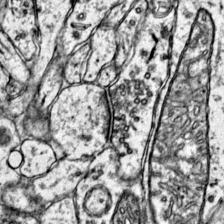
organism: Mouse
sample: Primary visual cortex